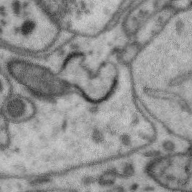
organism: Zebra finch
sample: Brain